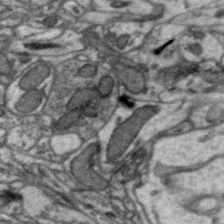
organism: Zebra finch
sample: Brain